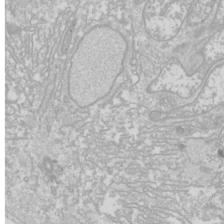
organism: Drosophila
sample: Cell division; meiosis; drosophila spermatocytes